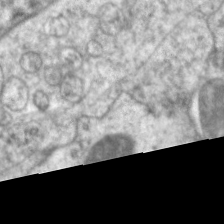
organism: C. elegans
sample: Pharynx